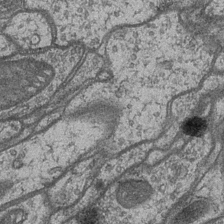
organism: Drosophila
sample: Optic medulla